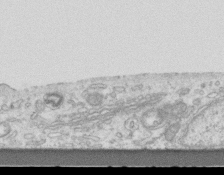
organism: Mouse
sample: Centriole in ependymal cells